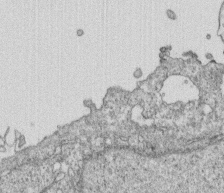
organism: Human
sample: HeLa cell HIV synapse